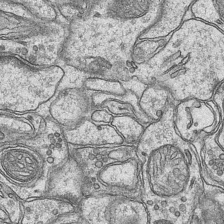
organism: Mouse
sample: CA1 Hippocampus